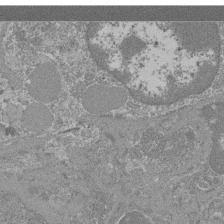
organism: Mouse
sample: Glomerulus